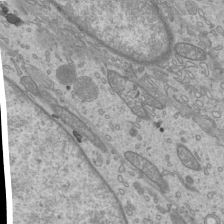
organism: Mouse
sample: Cilia; mouse epididymis